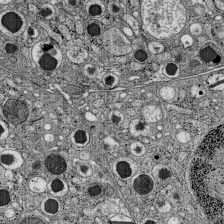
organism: C57BL Mouse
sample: Pancreatic islet